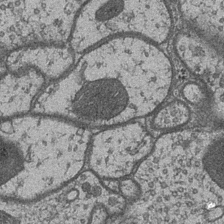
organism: Drosophila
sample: Optic medulla